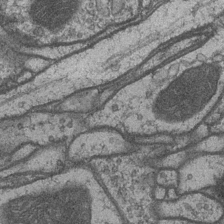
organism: Drosophila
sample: Optic medulla